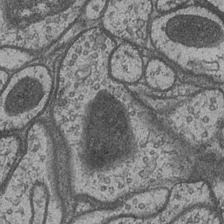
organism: Drosophila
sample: Optic medulla